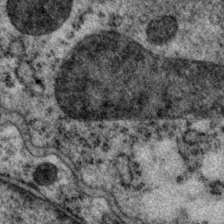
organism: P. pacificus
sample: Pharynx